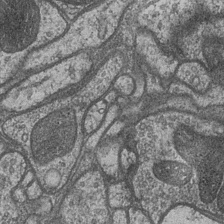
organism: Drosophila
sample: Optic medulla